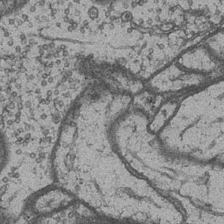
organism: Drosophila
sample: Optic medulla